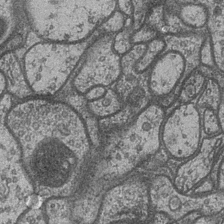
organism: Drosophila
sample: Optic medulla